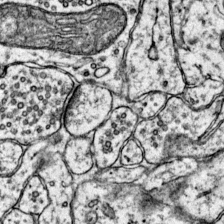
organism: Mouse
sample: Primary visual cortex